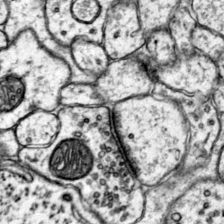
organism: Mouse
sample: Primary visual cortex